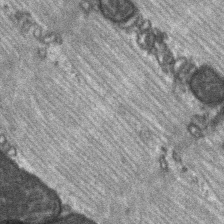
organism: C57BL Mouse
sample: Soleus